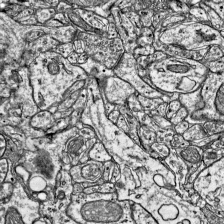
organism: Mouse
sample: Visual Cortex